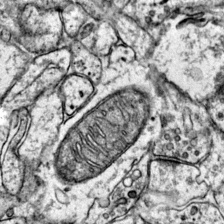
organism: Mouse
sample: Primary visual cortex